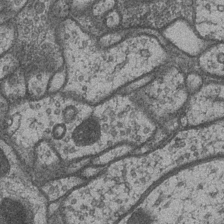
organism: Drosophila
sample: Optic medulla